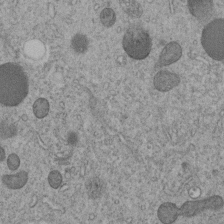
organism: C. elegans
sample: C. elegans embryo early stage